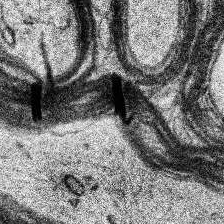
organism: Human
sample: Temporal Lobe